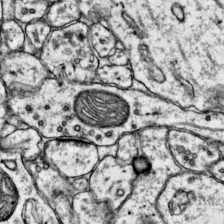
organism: Mouse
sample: Primary visual cortex